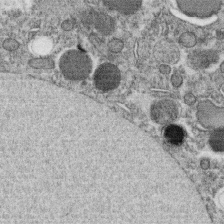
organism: C. elegans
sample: C. elegans oocyte; sperm cells